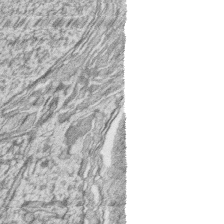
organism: Zebrafish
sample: synaptic ribbons in rod cells and cone cells